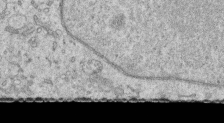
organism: Human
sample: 1205lu cells